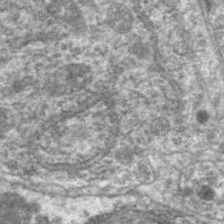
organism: C. elegans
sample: Pharynx